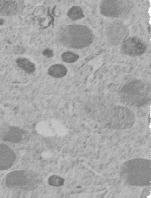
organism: C. elegans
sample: C. elegans embryo early stage